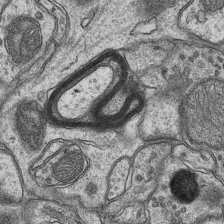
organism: Mouse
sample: CA1 Hippocampus